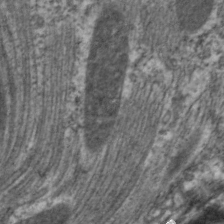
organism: C. elegans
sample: Pharynx